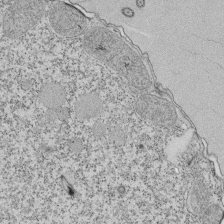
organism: Tetrahymena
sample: Cilia in tetrahymena